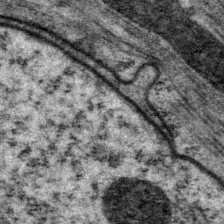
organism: P. pacificus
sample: Pharynx